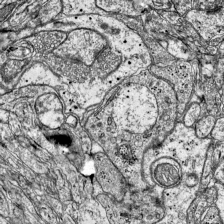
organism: Mouse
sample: Visual Cortex